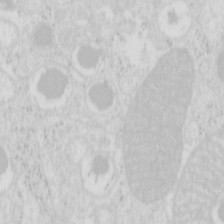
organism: Mouse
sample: Pancreas